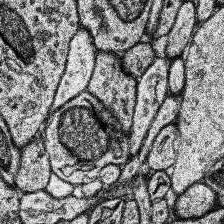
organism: Human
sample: Temporal Lobe